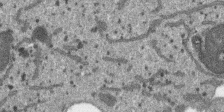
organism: Human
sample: Lung epithelial cells infected with SARS-CoV-2